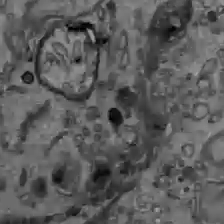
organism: C57BL Mouse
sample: Liver